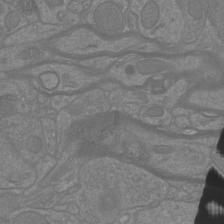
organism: Mouse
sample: Cortical neurons